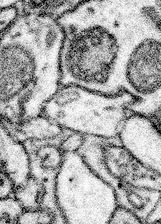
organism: Mouse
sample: Somatosensory cortex neuropil